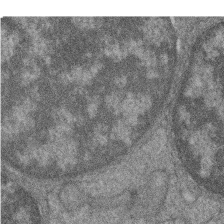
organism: Zebrafish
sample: Cilia; retinal pigment epithelium